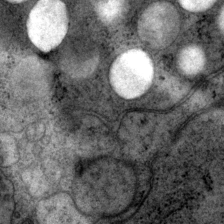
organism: P. pacificus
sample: Pharynx